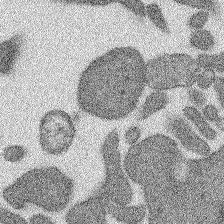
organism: Human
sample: HeLa cells